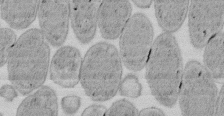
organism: E. coli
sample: Bacterial nucleoid